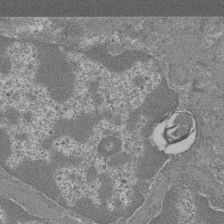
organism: Mouse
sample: Glomerulus